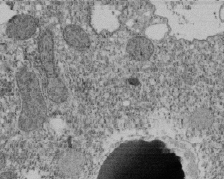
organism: Tetrahymena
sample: Cilia in tetrahymena